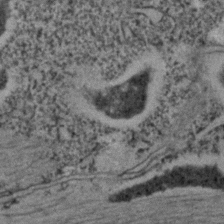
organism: C. elegans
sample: C. elegans embryo